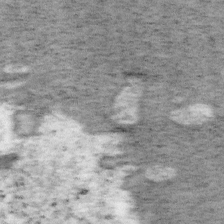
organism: Mouse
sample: OT-I killer T cells with ID8 ovarian cancer cells